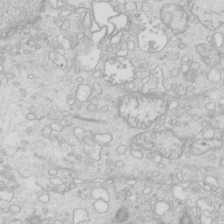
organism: Mouse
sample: Multiciliated cells